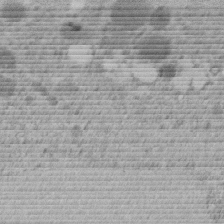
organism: C. elegans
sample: C. elegans embryo early stage